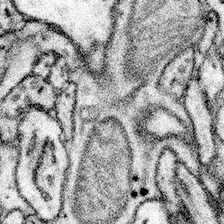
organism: Mouse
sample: Somatosensory cortex neuropil